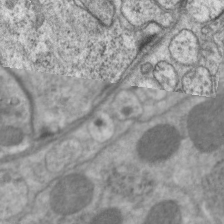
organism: C. elegans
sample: Pharynx